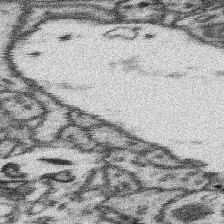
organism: Mouse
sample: Somatosensory cortex neuropil